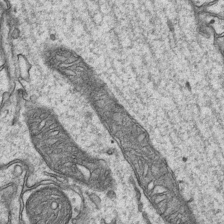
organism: Mouse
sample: CA1 Hippocampus